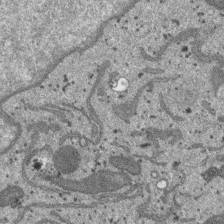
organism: Human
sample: Lung epithelial cells infected with SARS-CoV-2